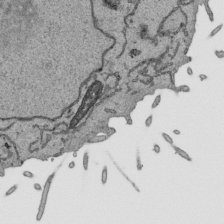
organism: Human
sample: Mitochondria in HCT116 cells